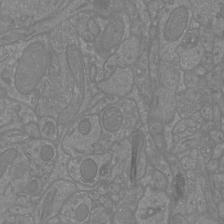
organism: Mouse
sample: Cortical neurons